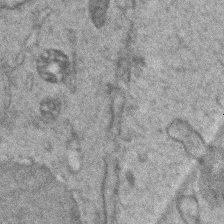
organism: Zebrafish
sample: Zebrafish embryo